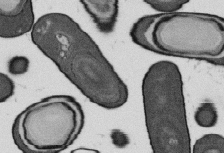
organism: B. subtilis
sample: Bacterial spore